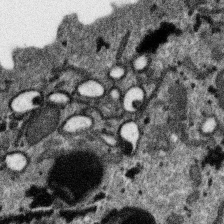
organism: Human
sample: Lung epithelial cells infected with SARS-CoV-2